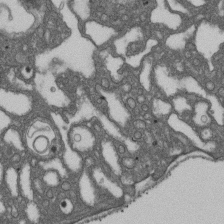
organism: Drosophila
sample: Nephrocyte